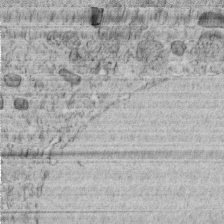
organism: C. elegans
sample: C. elegans embryo early stage